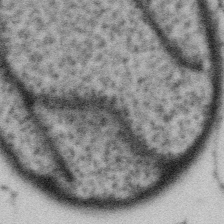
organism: Gemmata obscuriglobus